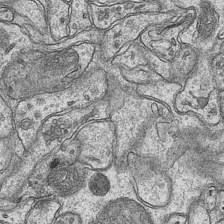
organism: Mouse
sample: CA1 Hippocampus